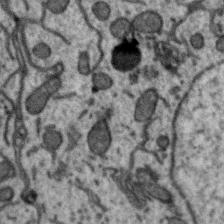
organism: Zebra finch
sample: Brain